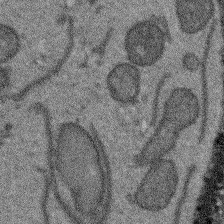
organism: Arabidopsis thaliana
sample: Root tip